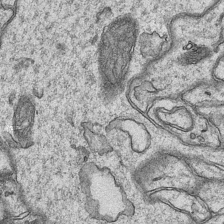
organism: Mouse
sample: CA1 Hippocampus